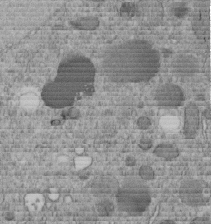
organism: C. elegans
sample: C. elegans embryo early stage